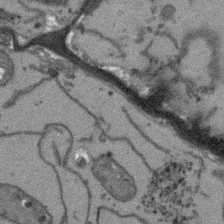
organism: Arabidopsis thaliana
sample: Root tip